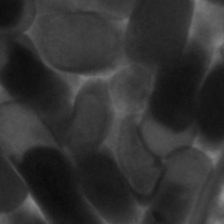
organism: C. elegans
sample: Pharynx